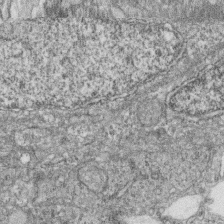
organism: Zebrafish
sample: Cilia; retinal pigment epithelium